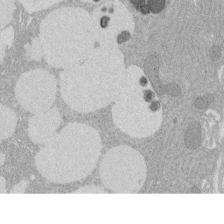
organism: Rat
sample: Salivary granule